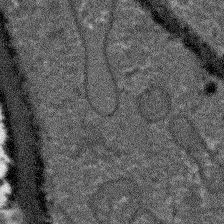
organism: Arabidopsis thaliana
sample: Root tip